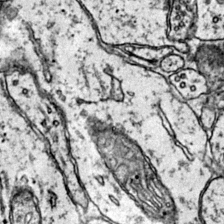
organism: Mouse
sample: Primary visual cortex